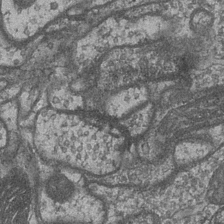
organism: Drosophila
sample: Optic medulla